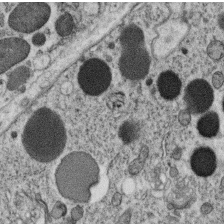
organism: C. elegans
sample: C. elegans oocyte; sperm cells